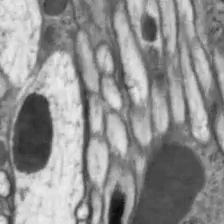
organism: Drosophila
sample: Optic lobe